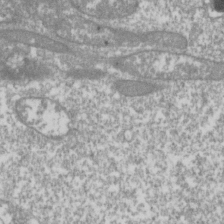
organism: Drosophila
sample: Cell division; meiosis; drosophila spermatocytes